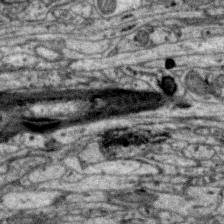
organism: Zebra finch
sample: Brain